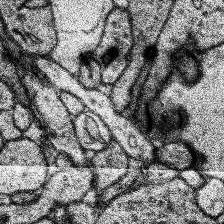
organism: Human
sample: Temporal Lobe